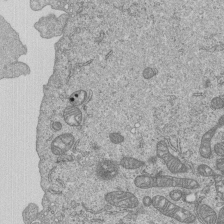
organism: Human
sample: MDA-MB-231 cells